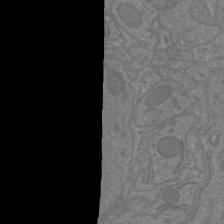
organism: Mouse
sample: Cortical neurons